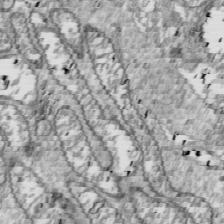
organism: Drosophila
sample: Cell division; meiosis; drosophila spermatocytes